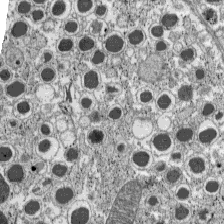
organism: C57BL Mouse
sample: Pancreatic islet